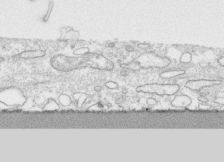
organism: Human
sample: CRL-1474